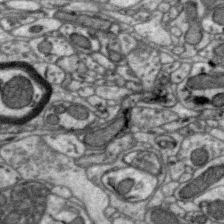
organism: Zebra finch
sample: Brain